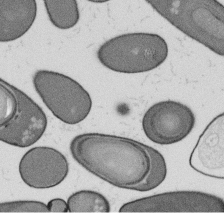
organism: B. subtilis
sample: Bacterial spore